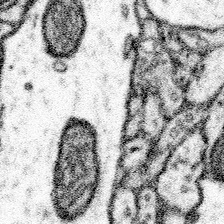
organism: Mouse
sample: Somatosensory cortex neuropil